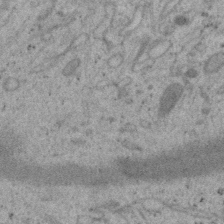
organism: Human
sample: HeLa cells